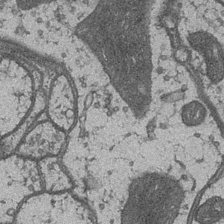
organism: Drosophila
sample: Optic medulla